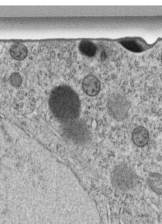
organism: C. elegans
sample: C. elegans embryo early stage